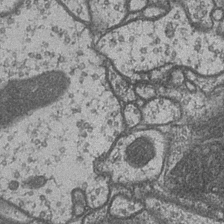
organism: Drosophila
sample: Optic medulla